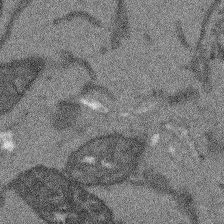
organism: Arabidopsis thaliana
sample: Root tip